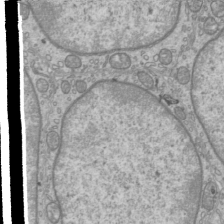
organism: Mouse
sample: Cilia; mouse epididymis